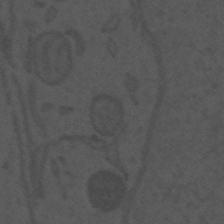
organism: Mouse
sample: Suprachiasmatic nucleus